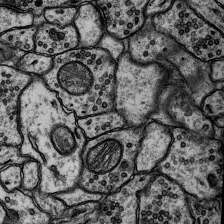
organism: Rat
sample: Hippocampus